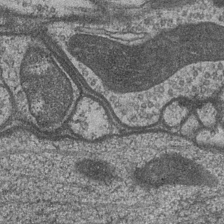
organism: Drosophila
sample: Optic medulla